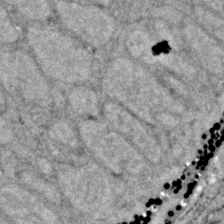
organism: Zebrafish